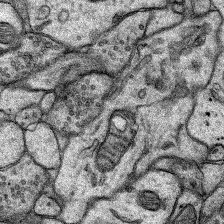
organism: Rat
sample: Hippocampus